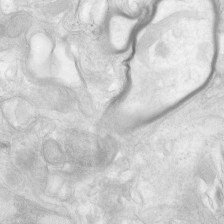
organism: Human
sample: Neocortex